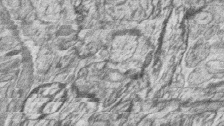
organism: Zebrafish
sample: synaptic ribbons in rod cells and cone cells